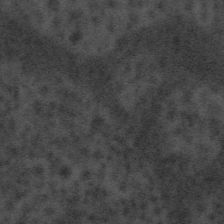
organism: Tuwongella immobilis